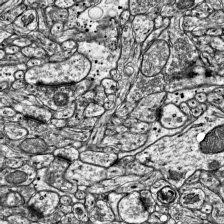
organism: Mouse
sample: Visual Cortex